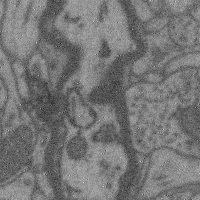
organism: Mouse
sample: Cerebral cortex